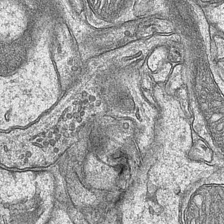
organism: Mouse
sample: CA1 Hippocampus